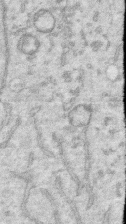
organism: Human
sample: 1205lu cells